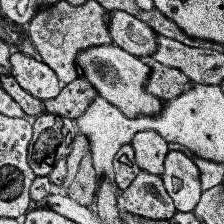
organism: Human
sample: Temporal Lobe